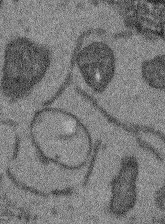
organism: Arabidopsis thaliana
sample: Root tip